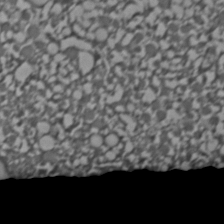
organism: C. elegans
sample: C. elegans embryo